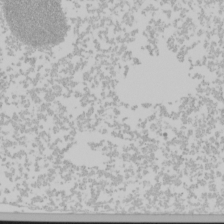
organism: Mouse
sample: Cancer cell death in ED-1 cells